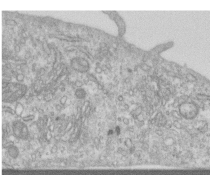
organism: Human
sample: Centriole in RPE cells